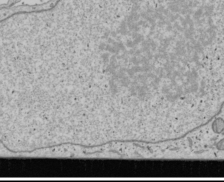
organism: Human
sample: Mitochondria in U2OS cells